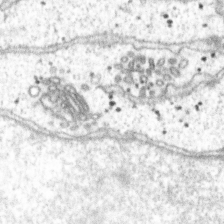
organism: Human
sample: HeLa cells